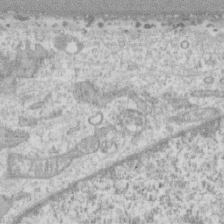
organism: Human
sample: CRL-1474